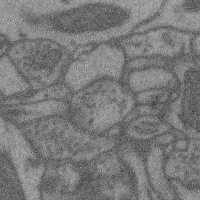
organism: Mouse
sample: Cerebral cortex